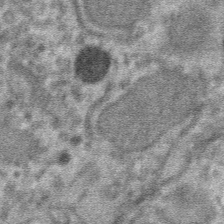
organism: Mouse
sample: Mouse hepatocytes